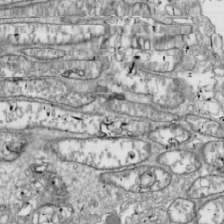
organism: Drosophila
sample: Cell division; meiosis; drosophila spermatocytes